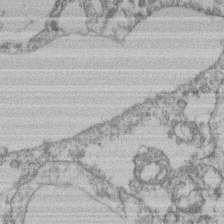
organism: Mouse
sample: T cell stromal cell synapse